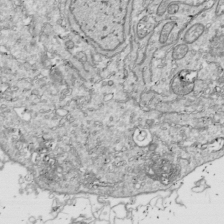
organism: Drosophila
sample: Cell division; meiosis; drosophila spermatocytes